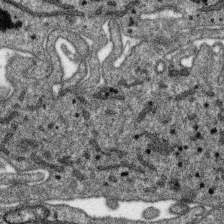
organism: Human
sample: Lung epithelial cells infected with SARS-CoV-2